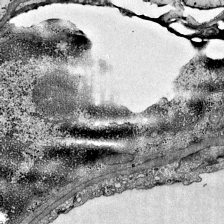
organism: Mouse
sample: Visual Cortex